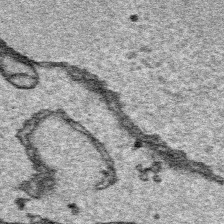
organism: Platynereis dumerilii